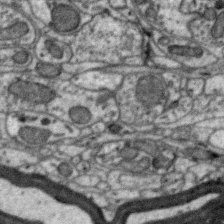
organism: Zebra finch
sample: Brain